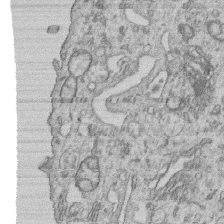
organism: Human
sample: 1205lu cells